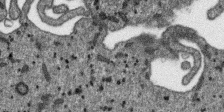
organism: Human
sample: Lung epithelial cells infected with SARS-CoV-2